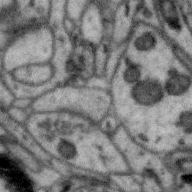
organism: Zebra finch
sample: Brain